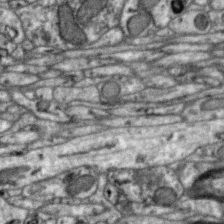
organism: Zebra finch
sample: Brain